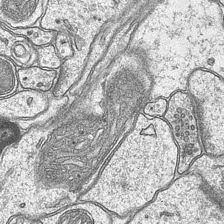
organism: Mouse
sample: CA1 Hippocampus